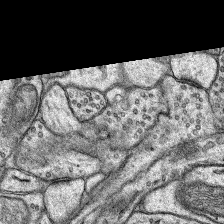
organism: Rat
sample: Hippocampus